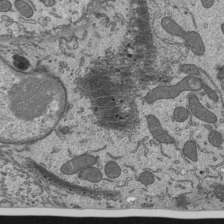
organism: Mouse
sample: Mouse epididymis efferent ductule cilia